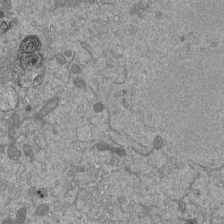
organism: Mouse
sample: ED-1 cell nuclei; centrioles